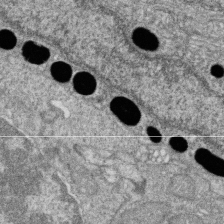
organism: Zebrafish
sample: Cilia; retinal pigment epithelium